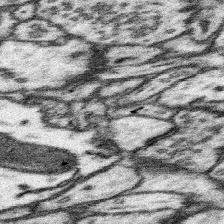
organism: Mouse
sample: Somatosensory cortex neuropil